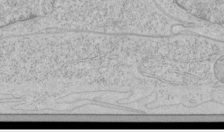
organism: Human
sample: Mitochondria in HCT116 cells